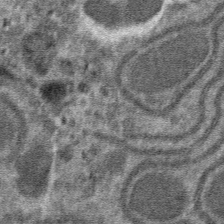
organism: Mouse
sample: Mouse hepatocytes